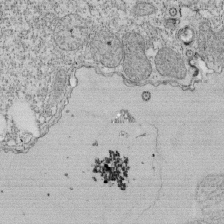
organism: Tetrahymena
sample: Cilia in tetrahymena